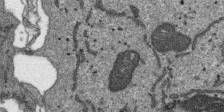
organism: Human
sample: Lung epithelial cells infected with SARS-CoV-2